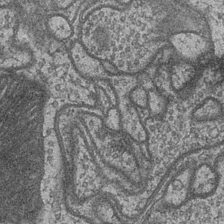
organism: Drosophila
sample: Optic medulla